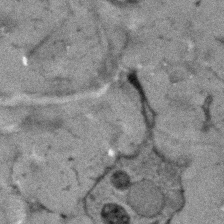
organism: Human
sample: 1205lu cells